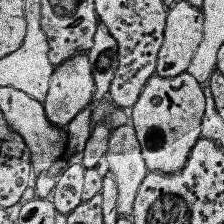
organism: Human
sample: Temporal Lobe